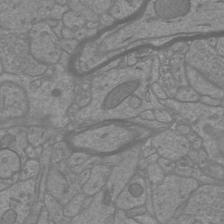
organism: Mouse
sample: Cortical neurons